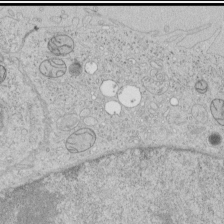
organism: Human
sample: Mitochondria in HCT116 cells